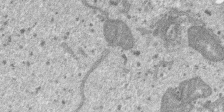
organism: Human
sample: Lung epithelial cells infected with SARS-CoV-2